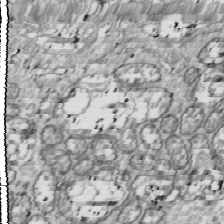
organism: Drosophila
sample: Cell division; meiosis; drosophila spermatocytes